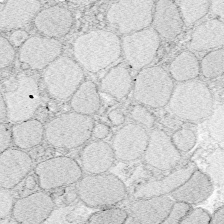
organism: Zebrafish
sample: Whole-Brain